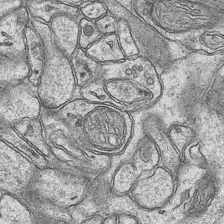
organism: Mouse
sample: CA1 Hippocampus